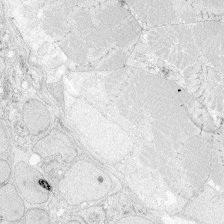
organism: Zebrafish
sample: Whole-Brain